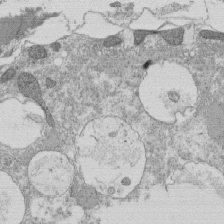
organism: Tetrahymena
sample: Cilia in tetrahymena